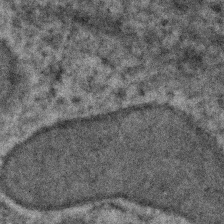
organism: Human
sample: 1205lu cells